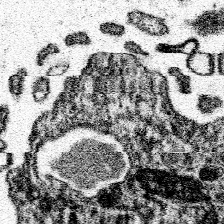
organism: Spongilla lacustris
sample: Neuroid cell